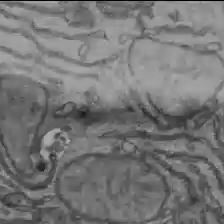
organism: C57BL Mouse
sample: Liver